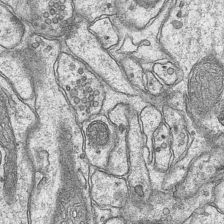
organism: Mouse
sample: CA1 Hippocampus